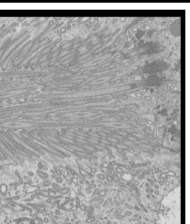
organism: Mouse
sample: Cilia; mouse epididymis